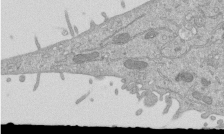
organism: Mouse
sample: ED-1 cell nuclei; centrioles